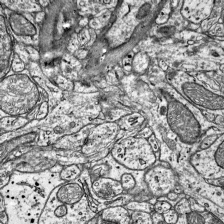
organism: Mouse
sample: Visual Cortex